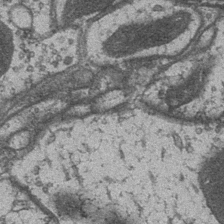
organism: Drosophila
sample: Optic medulla